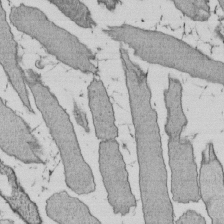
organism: E. coli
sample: Bacterial nucleoid